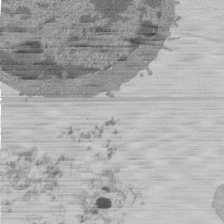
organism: Mouse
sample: Activated Pmel transgenic CD8+ T Cells